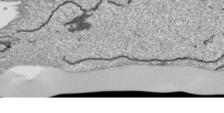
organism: Human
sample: Mitochondria in HCT116 cells